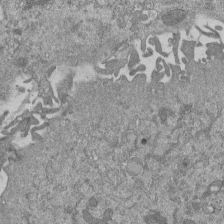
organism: Mouse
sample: ED-1 cell nuclei; centrioles